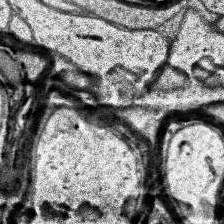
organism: Human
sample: Temporal Lobe